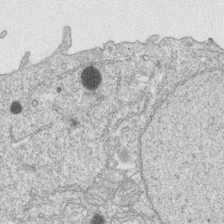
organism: Human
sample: HeLa cell HIV synapse